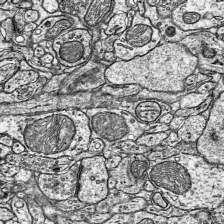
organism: Mouse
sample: Visual Cortex